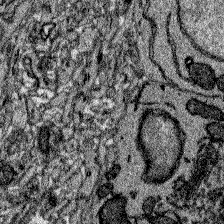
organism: Zebrafish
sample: Larval olfactory bulb